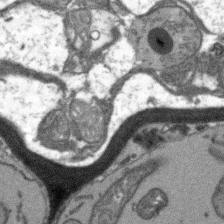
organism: Arabidopsis thaliana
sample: Root tip